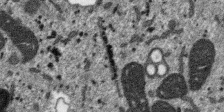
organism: Human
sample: Lung epithelial cells infected with SARS-CoV-2